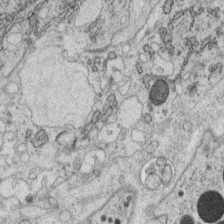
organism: C. elegans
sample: C. elegans oocyte; sperm cells